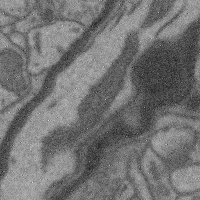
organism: Mouse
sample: Cerebral cortex